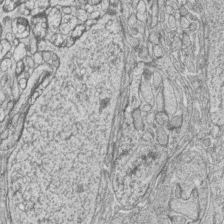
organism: Zebrafish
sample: synaptic ribbons in rod cells and cone cells